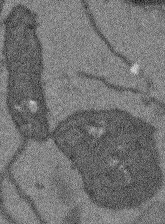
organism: Arabidopsis thaliana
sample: Root tip